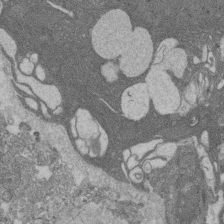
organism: Rat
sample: Salivary granule